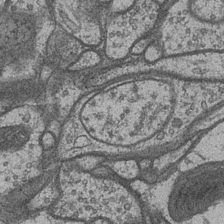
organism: Drosophila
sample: Optic medulla